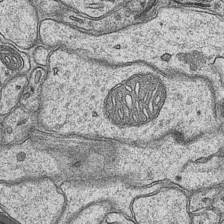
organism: Mouse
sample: CA1 Hippocampus